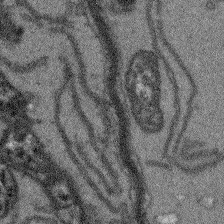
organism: Arabidopsis thaliana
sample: Root tip